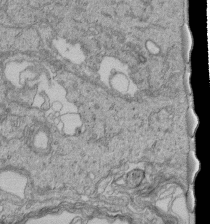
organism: Human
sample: Retinal organoid Rod and Cone cells